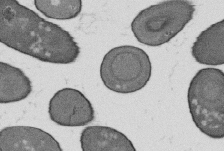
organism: B. subtilis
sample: Bacterial spore